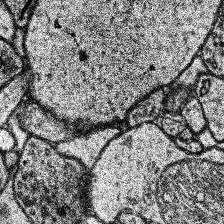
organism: Human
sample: Temporal Lobe